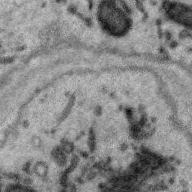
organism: Zebra finch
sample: Brain